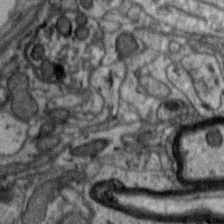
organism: Zebra finch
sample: Brain